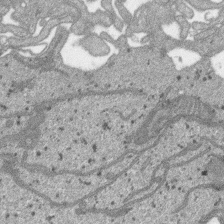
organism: Human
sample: Lung epithelial cells infected with SARS-CoV-2